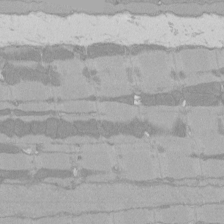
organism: Rat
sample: Left ventricle